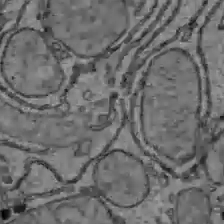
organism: C57BL Mouse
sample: Liver